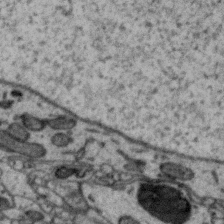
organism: Zebra finch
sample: Brain